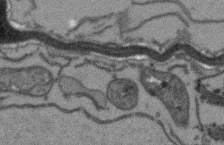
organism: Arabidopsis thaliana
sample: Root tip